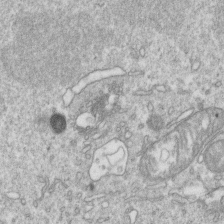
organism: Mouse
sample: Activated OT-1 CD8+ T cells